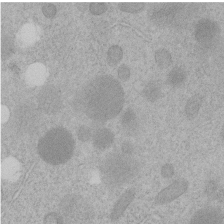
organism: C. elegans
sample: C. elegans embryo early stage